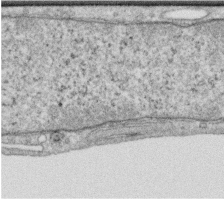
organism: Human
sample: Centriole in RPE cells